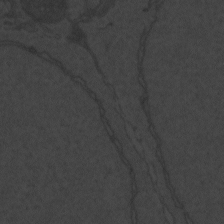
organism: Zebrafish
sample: Macrophage infected with Toxoplasma gondii